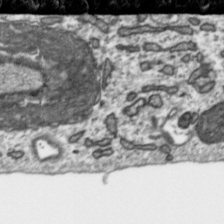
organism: Toxoplasma gondii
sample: Parasites in a vacuole inside a host cell